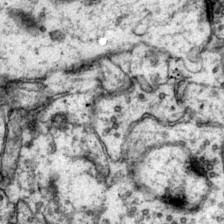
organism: Mouse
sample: Primary visual cortex